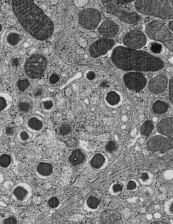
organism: C57BL Mouse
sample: Pancreatic islet